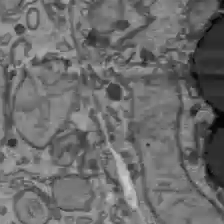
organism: C57BL Mouse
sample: Liver